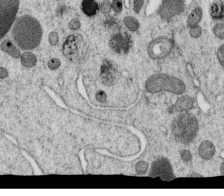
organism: C. elegans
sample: C. elegans oocyte; sperm cells